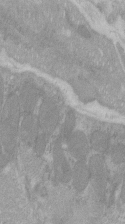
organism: C57BL Mouse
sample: Tibialis anterior muscle cell